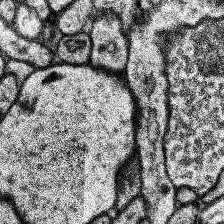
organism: Human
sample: Temporal Lobe